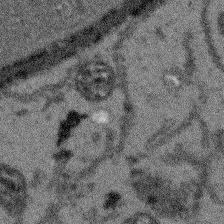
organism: Arabidopsis thaliana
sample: Root tip